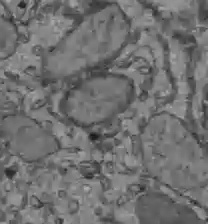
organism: C57BL Mouse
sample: Liver